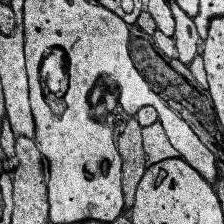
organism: Human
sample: Temporal Lobe